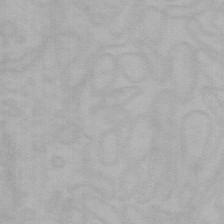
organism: Mouse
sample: Choroid plexus